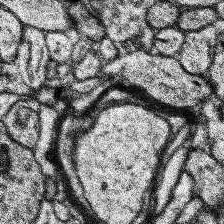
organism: Human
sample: Temporal Lobe